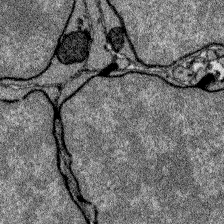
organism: Zebrafish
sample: Larval olfactory bulb